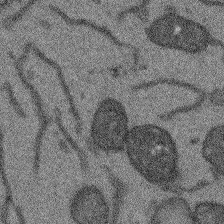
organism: Arabidopsis thaliana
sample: Root tip